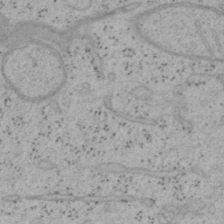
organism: Human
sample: HeLa cells